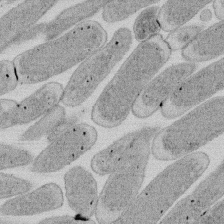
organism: E. coli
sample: Bacterial nucleoid